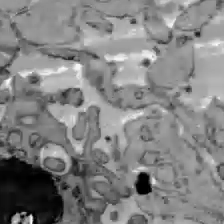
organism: C57BL Mouse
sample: Liver